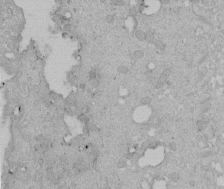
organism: Human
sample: Melanocyte Keratinocyte synapse skin construct